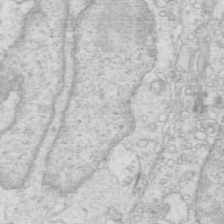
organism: Mouse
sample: Multiciliated cells